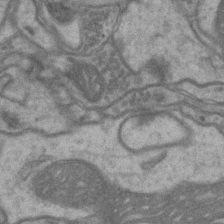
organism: Mouse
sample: CA1 Hippocampus